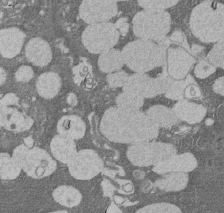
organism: Rat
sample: Salivary granule